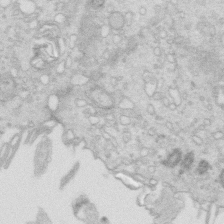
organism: Mouse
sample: Multiciliated cells